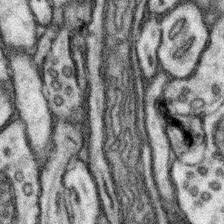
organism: Mouse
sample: Somatosensory cortex neuropil